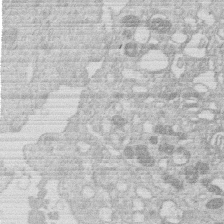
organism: Human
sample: Macrophage cells